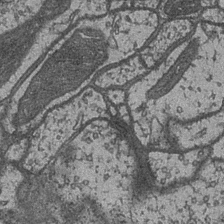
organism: Drosophila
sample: Optic medulla